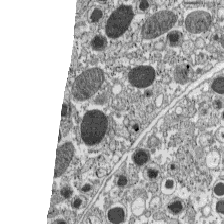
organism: C57BL Mouse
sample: Pancreatic islet